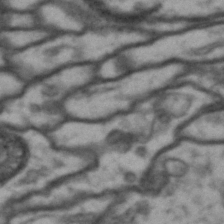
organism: Drosophila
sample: Brain